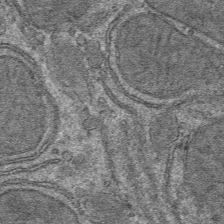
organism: Mouse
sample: Mouse hepatocytes